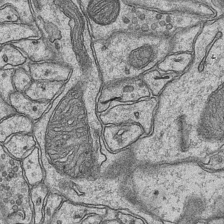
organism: Mouse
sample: CA1 Hippocampus